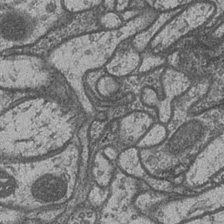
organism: Drosophila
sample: Optic medulla